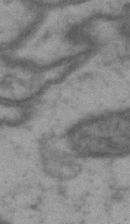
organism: Drosophila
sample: Brain